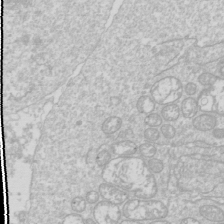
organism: Drosophila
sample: Cell division; meiosis; drosophila spermatocytes